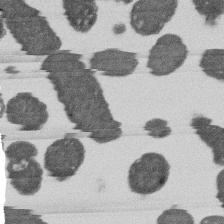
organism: E. coli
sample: Bacterial nucleoid